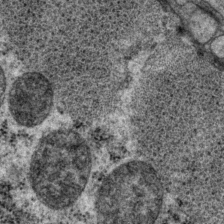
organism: P. pacificus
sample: Pharynx